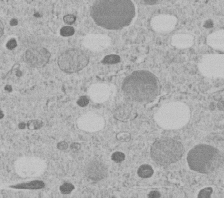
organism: C. elegans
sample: C. elegans embryo early stage